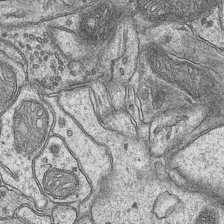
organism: Mouse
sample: CA1 Hippocampus